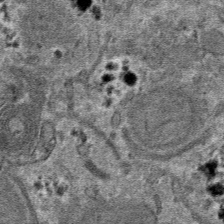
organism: Mouse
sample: Mouse hepatocytes